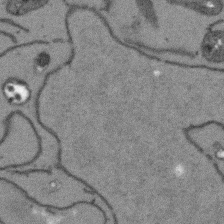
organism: Arabidopsis thaliana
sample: Root tip